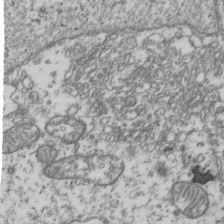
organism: Human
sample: Activated Jurkat CD4+ T cells